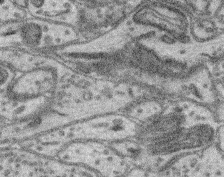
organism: Mouse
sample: Retina